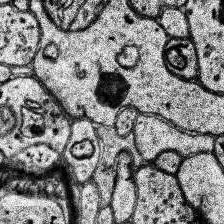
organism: Human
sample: Temporal Lobe